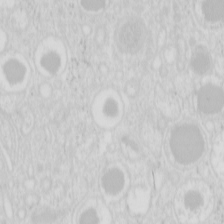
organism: Mouse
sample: Pancreas